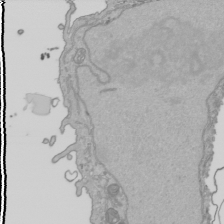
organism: Human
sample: Mitochondria in HCT116 cells